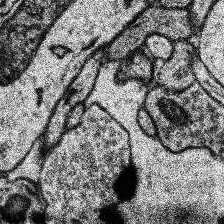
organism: Human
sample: Temporal Lobe